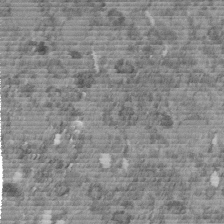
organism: C. elegans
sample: C. elegans embryo early stage